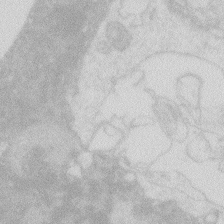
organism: Zebrafish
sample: Macrophage